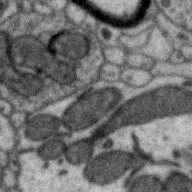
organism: Zebra finch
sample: Brain